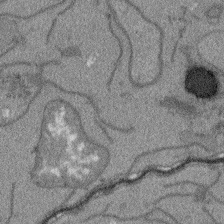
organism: Arabidopsis thaliana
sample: Root tip